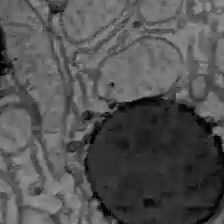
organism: C57BL Mouse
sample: Liver